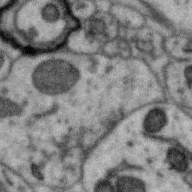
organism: Zebra finch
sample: Brain